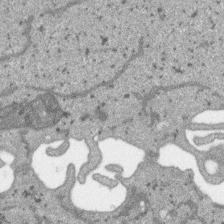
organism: Human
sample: Lung epithelial cells infected with SARS-CoV-2